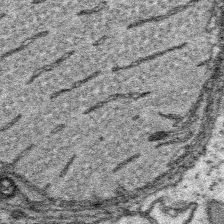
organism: Platynereis dumerilii